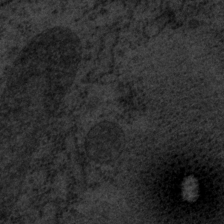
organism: P. pacificus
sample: Pharynx